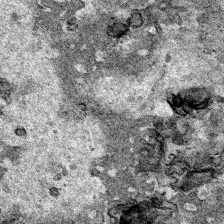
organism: Human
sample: Mitochondria in HCT116 cells